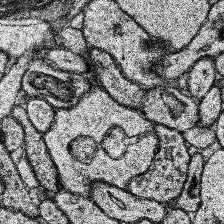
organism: Human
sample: Temporal Lobe